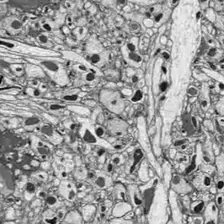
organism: Drosophila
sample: Optic lobe